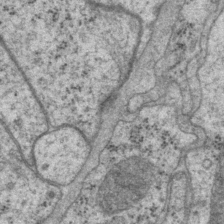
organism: P. pacificus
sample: Pharynx